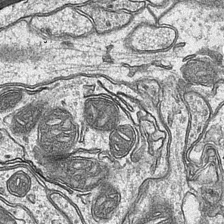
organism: Mouse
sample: CA1 Hippocampus